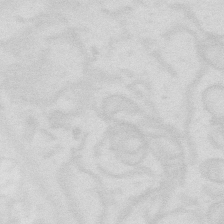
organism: Human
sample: HeLa cells